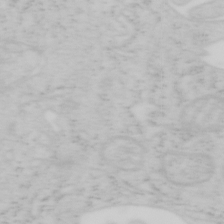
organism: Mouse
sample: OT-I killer T cells with ID8 ovarian cancer cells